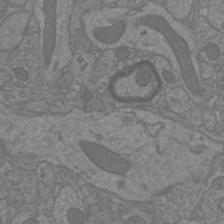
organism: Mouse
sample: Cortical neurons